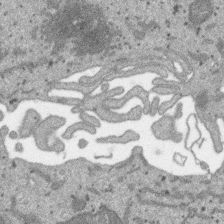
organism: Human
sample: Lung epithelial cells infected with SARS-CoV-2